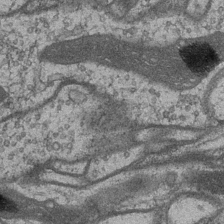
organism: Drosophila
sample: Optic medulla